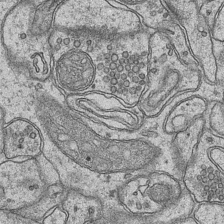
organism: Mouse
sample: CA1 Hippocampus